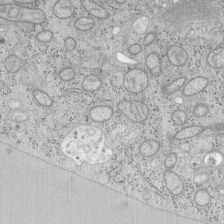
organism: Mouse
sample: OT-I killer T cells with ID8 ovarian cancer cells